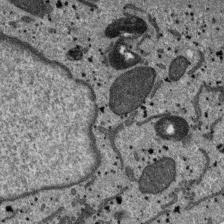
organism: Human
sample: Lung epithelial cells, uninfected (mock) control